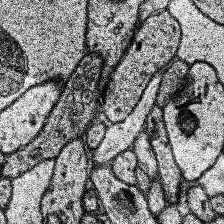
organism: Human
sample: Temporal Lobe